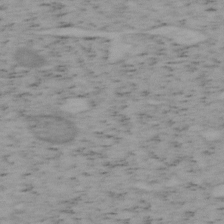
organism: Mouse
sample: OT-I killer T cells with ID8 ovarian cancer cells